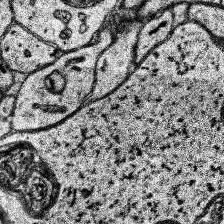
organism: Human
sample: Temporal Lobe